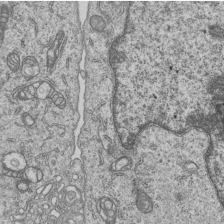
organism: Human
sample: MDA-MB-231 cells